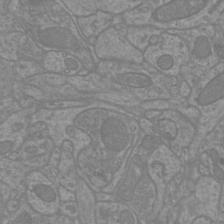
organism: Mouse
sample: Cortical neurons